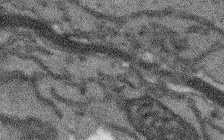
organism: Arabidopsis thaliana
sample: Root tip